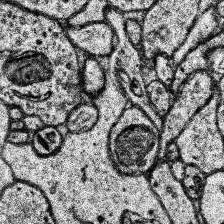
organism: Human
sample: Temporal Lobe